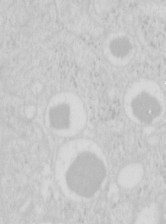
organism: Mouse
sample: Pancreas